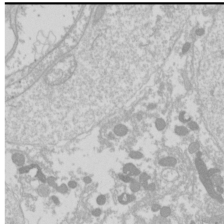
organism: Drosophila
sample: Cell division; meiosis; drosophila spermatocytes